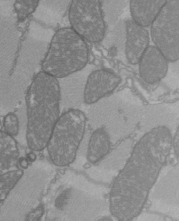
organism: C57BL Mouse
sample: Heart